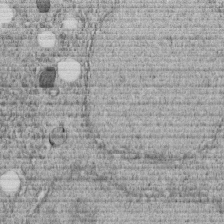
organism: C. elegans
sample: C. elegans embryo early stage